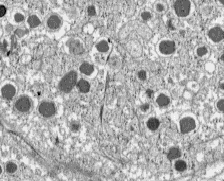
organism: C57BL Mouse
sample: Pancreatic islet